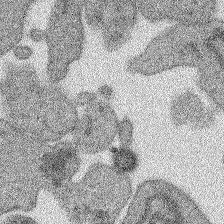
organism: Human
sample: HeLa cells